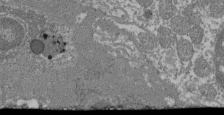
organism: Mouse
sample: Glomerulus